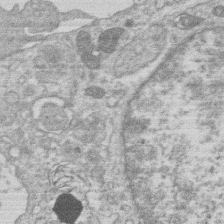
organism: Human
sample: Macrophage cells